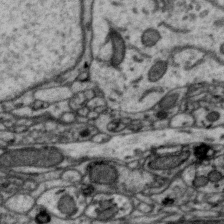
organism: Zebra finch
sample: Brain